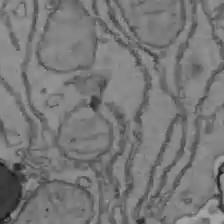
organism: C57BL Mouse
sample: Liver